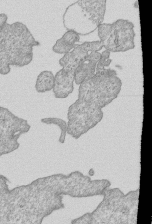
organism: Human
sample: MDA-MB-231 cells